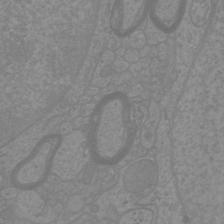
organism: Mouse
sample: Cortical neurons